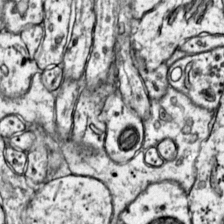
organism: Mouse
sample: Primary visual cortex